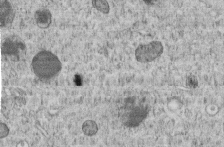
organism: C. elegans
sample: C. elegans embryo early stage